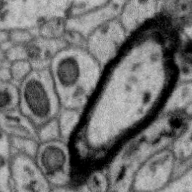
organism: Zebra finch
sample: Brain